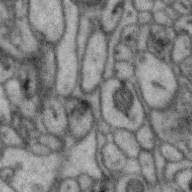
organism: Zebra finch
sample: Brain